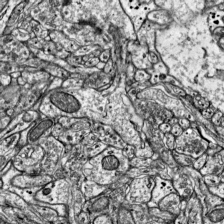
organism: Mouse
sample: Visual Cortex